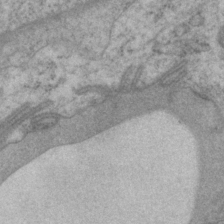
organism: P. pacificus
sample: Pharynx